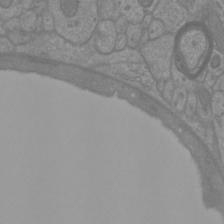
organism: Mouse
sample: Cortical neurons